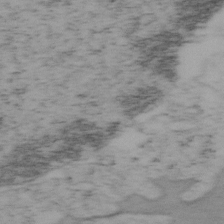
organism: Mouse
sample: OT-I killer T cells with ID8 ovarian cancer cells